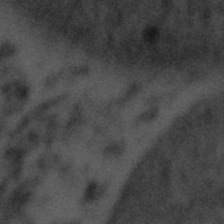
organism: Tuwongella immobilis